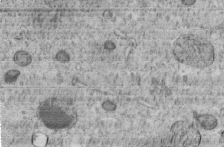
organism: C. elegans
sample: C. elegans embryo early stage